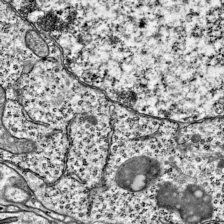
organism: Mouse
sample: Visual Cortex